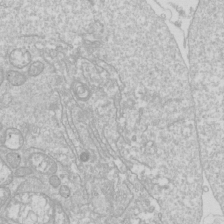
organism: Drosophila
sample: Cell division; meiosis; drosophila spermatocytes